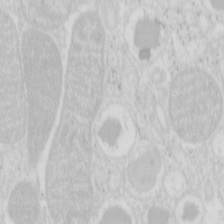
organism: Mouse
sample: Pancreas